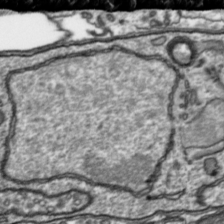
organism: Toxoplasma gondii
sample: Parasites in a vacuole inside a host cell